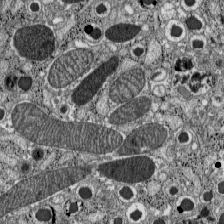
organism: C57BL Mouse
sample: Pancreatic islet